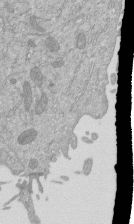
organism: Mouse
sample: ED-1 cell nuclei; centrioles